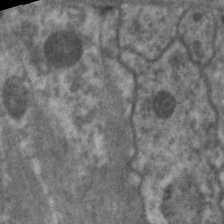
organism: C. elegans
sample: Pharynx